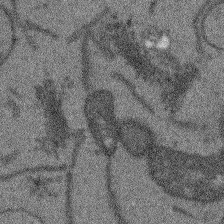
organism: Arabidopsis thaliana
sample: Root tip